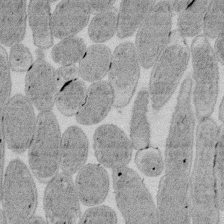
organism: E. coli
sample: Bacterial nucleoid